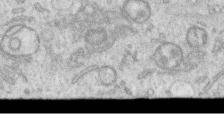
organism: Human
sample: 1205lu cells